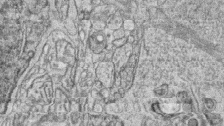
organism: Zebrafish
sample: synaptic ribbons in rod cells and cone cells